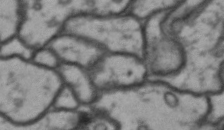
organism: Drosophila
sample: Brain